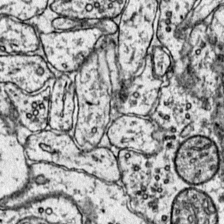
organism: Mouse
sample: Primary visual cortex